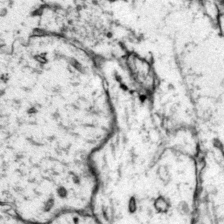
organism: Mouse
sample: Primary visual cortex